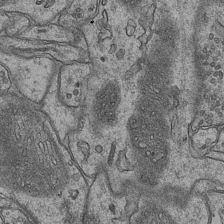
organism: Mouse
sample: CA1 Hippocampus